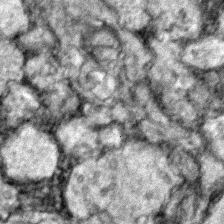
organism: Zebrafish